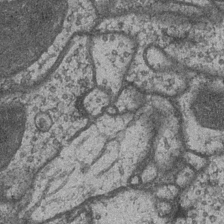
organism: Drosophila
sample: Optic medulla